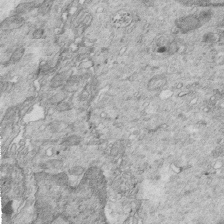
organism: Mouse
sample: Multiciliated cells